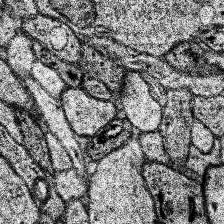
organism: Human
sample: Temporal Lobe